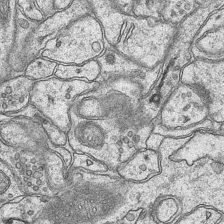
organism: Mouse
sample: CA1 Hippocampus